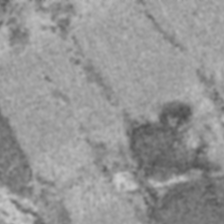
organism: C57BL Mouse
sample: Heart